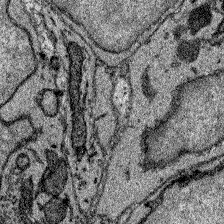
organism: Zebrafish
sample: Larval olfactory bulb